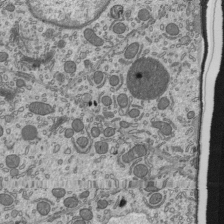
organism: Mouse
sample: Mouse epididymis efferent ductule cilia